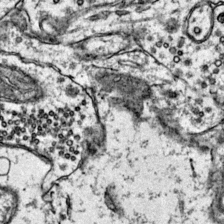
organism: Mouse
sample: Primary visual cortex